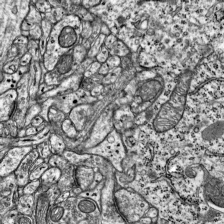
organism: Mouse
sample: Visual Cortex